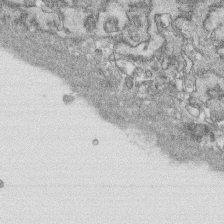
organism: Human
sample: CRL-1474